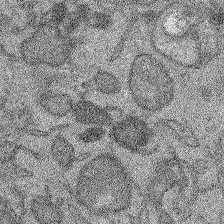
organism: Human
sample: HeLa cells